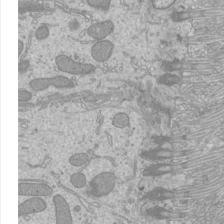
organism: Mouse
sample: Cilia; mouse epididymis